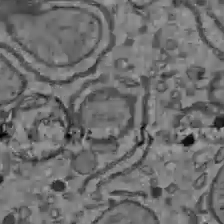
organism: C57BL Mouse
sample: Liver